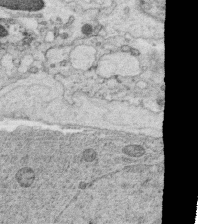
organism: C. elegans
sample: C. elegans oocyte; sperm cells